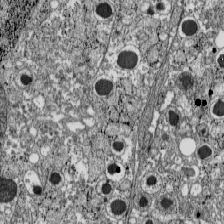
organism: C57BL Mouse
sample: Pancreatic islet